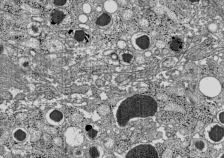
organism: C57BL Mouse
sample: Pancreatic islet